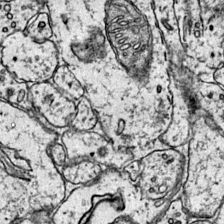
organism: Mouse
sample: Primary visual cortex